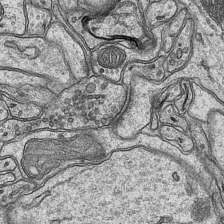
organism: Mouse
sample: CA1 Hippocampus